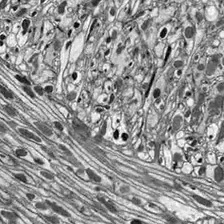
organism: Drosophila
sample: Optic lobe